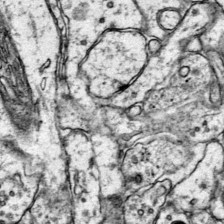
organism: Mouse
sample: Primary visual cortex